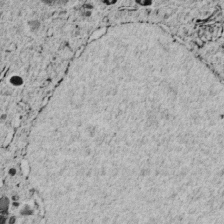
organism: C. elegans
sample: C. elegans embryo early stage